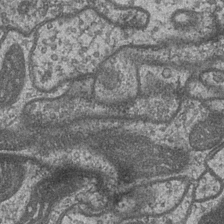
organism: Drosophila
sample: Optic medulla